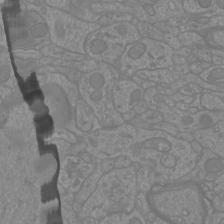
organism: Mouse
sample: Cortical neurons